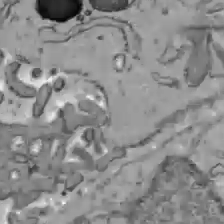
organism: C57BL Mouse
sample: Liver